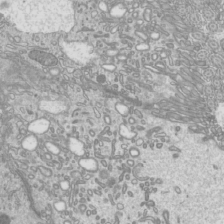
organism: Mouse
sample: Cilia; mouse epididymis